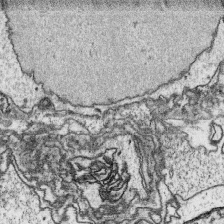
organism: Platynereis dumerilii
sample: Parapodia